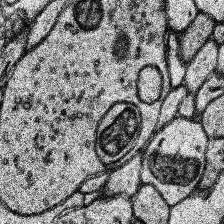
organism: Human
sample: Temporal Lobe